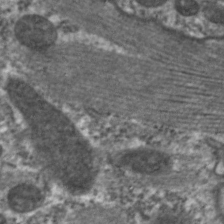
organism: C. elegans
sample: Pharynx